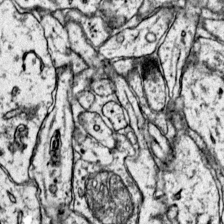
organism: Mouse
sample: Primary visual cortex